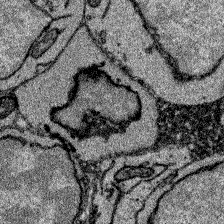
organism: Zebrafish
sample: Larval olfactory bulb